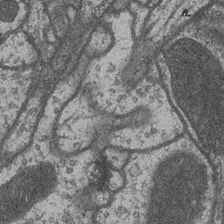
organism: Drosophila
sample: Optic medulla